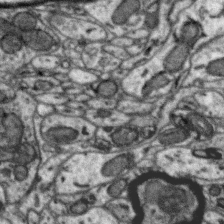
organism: Zebra finch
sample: Brain